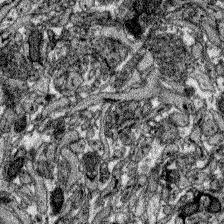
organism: Zebrafish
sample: Larval olfactory bulb